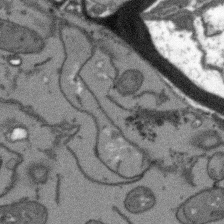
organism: Arabidopsis thaliana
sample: Root tip